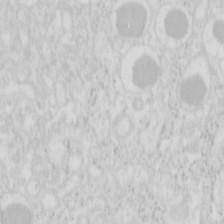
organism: Mouse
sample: Pancreas